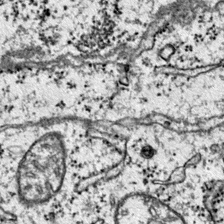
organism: Mouse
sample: Primary visual cortex